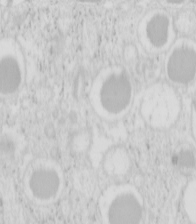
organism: Mouse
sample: Pancreas